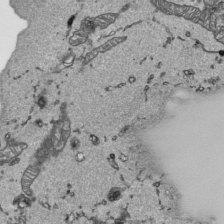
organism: Human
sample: Mitochondria in HCT116 cells